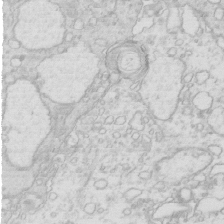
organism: Mouse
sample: Multiciliated cells